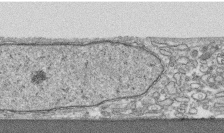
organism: Human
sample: CRL-1474